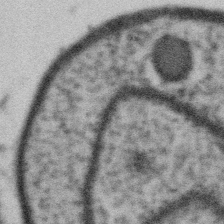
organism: Gemmata obscuriglobus